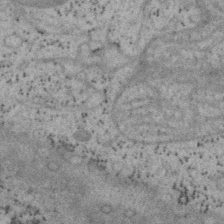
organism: Human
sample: HeLa cells